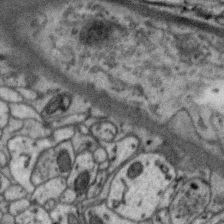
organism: Zebra finch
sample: Brain